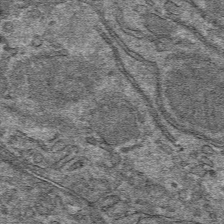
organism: Mouse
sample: Mouse hepatocytes